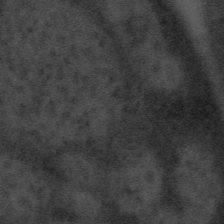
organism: Tuwongella immobilis